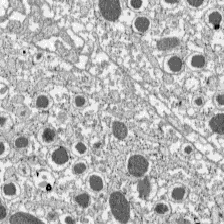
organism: C57BL Mouse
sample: Pancreatic islet